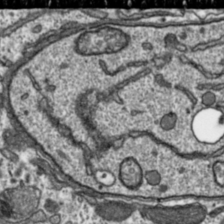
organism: Toxoplasma gondii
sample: Parasites in a vacuole inside a host cell